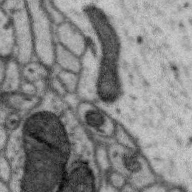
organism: Zebra finch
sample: Brain